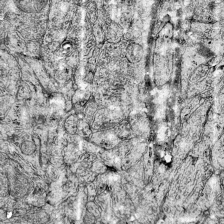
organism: Mouse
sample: Visual Cortex